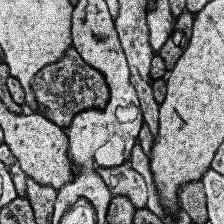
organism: Human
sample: Temporal Lobe